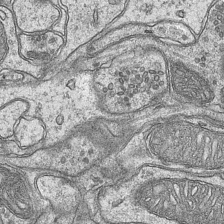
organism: Mouse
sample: CA1 Hippocampus